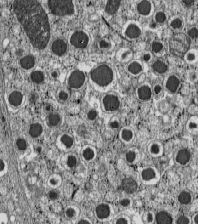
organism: C57BL Mouse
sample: Pancreatic islet